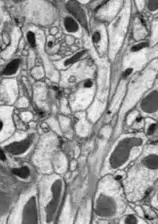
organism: Drosophila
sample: Optic lobe